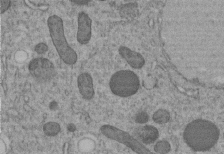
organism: C. elegans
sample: C. elegans embryo early stage